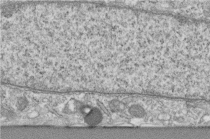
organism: Human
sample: Centriole in fibroblast cells